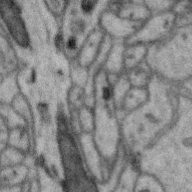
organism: Zebra finch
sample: Brain